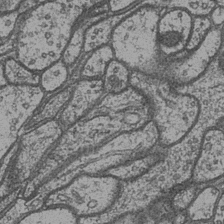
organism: Drosophila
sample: Optic medulla